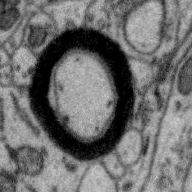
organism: Zebra finch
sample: Brain